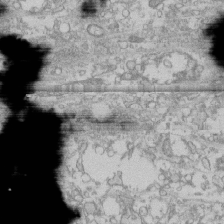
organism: Human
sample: CRL-1474